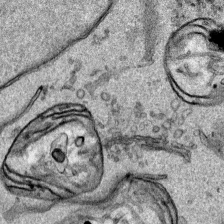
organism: Human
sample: Mitochondria in HCT116 cells